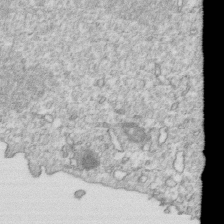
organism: Mouse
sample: Activated OT-1 CD8+ T cells